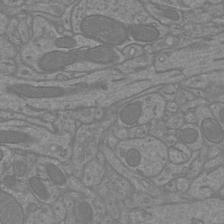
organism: Mouse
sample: Cortical neurons